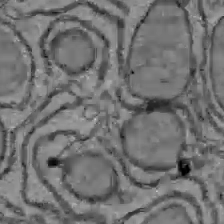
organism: C57BL Mouse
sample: Liver